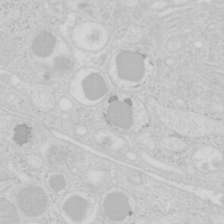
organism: Mouse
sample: Pancreas